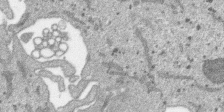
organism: Human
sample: Lung epithelial cells infected with SARS-CoV-2